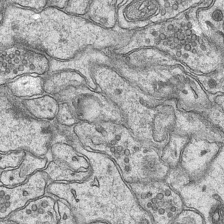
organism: Mouse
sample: CA1 Hippocampus